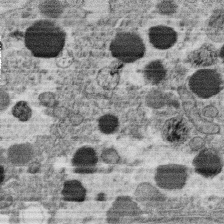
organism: C. elegans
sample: C. elegans oocyte; sperm cells